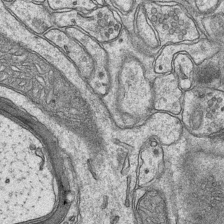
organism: Mouse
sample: CA1 Hippocampus